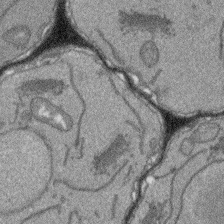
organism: Arabidopsis thaliana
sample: Root tip